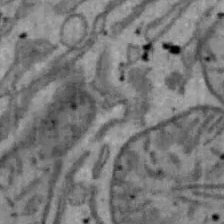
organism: Mouse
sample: Liver